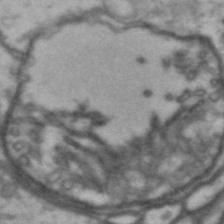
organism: Drosophila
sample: Brain